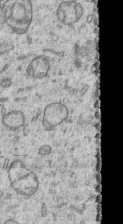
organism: Human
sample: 1205lu cells